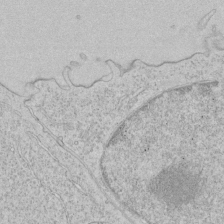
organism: Human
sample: Mitochondria in HCT116 cells